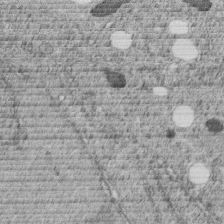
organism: C. elegans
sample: C. elegans embryo early stage